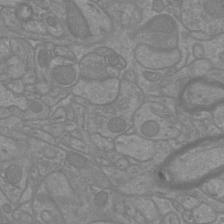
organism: Mouse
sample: Cortical neurons